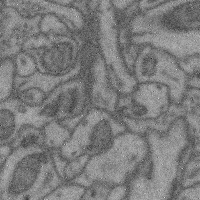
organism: Mouse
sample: Cerebral cortex